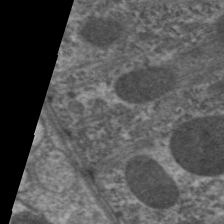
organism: C. elegans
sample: Pharynx